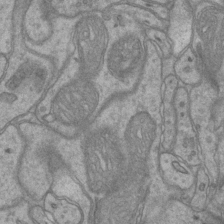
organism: Mouse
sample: CA1 Hippocampus